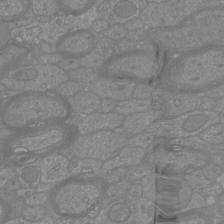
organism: Mouse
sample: Cortical neurons